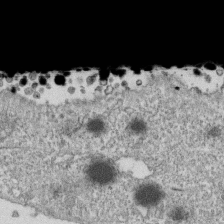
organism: Human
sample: HeLa cell HIV synapse